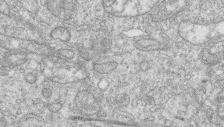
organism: Human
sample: HeLa cell HIV synapse